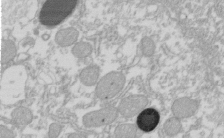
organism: Xenopus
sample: Cilia; centrioles in frog embryo cells